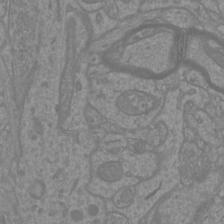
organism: Mouse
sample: Cortical neurons